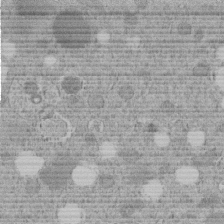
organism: C. elegans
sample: C. elegans embryo early stage